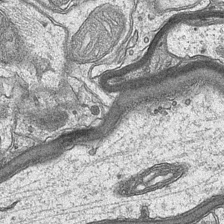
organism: Mouse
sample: CA1 Hippocampus